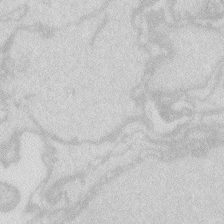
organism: Zebrafish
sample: Macrophage